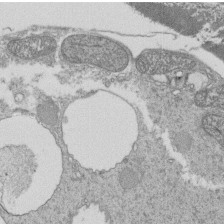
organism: Tetrahymena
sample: Cilia in tetrahymena